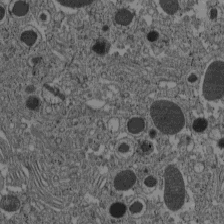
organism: C57BL Mouse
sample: Pancreatic islet